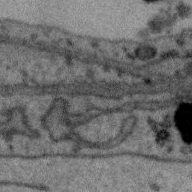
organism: Zebra finch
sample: Brain